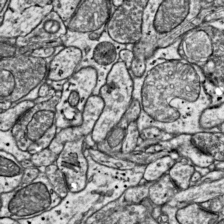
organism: Mouse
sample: Visual Cortex